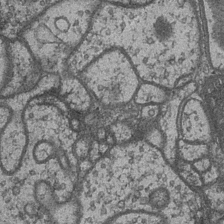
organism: Drosophila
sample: Optic medulla